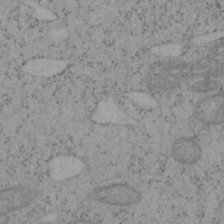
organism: Mouse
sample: OT-I killer T cells with ID8 ovarian cancer cells